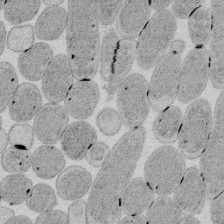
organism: E. coli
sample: Bacterial nucleoid